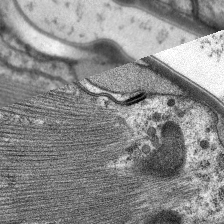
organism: C. elegans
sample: Pharynx